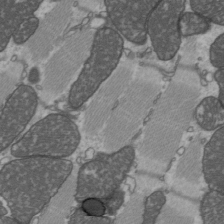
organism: C57BL Mouse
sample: Heart